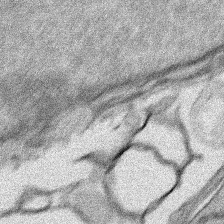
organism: Human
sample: Mitochondria in HCT116 cells